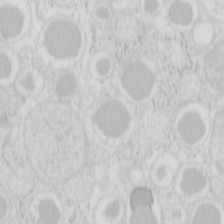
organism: Mouse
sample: Pancreas